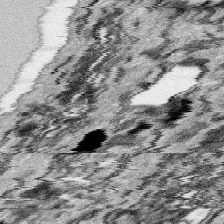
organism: Human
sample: HeLa cells